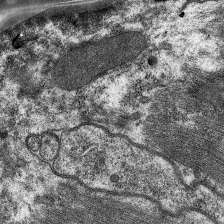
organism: C. elegans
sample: Pharynx